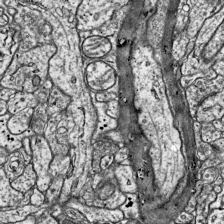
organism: Mouse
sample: Visual Cortex